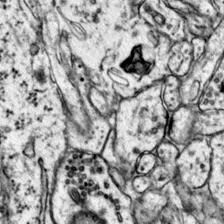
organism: Mouse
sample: Primary visual cortex